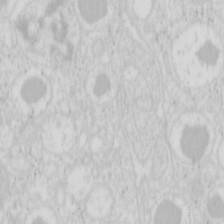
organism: Mouse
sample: Pancreas